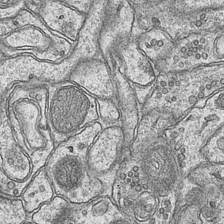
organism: Mouse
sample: CA1 Hippocampus